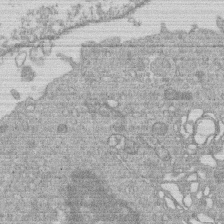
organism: Human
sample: Macrophage cells